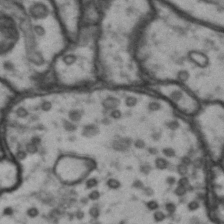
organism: Drosophila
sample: Brain